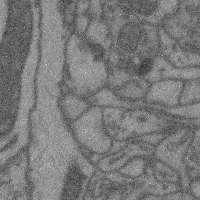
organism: Mouse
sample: Cerebral cortex